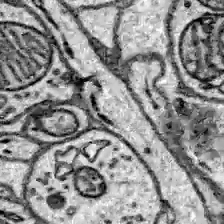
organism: Zebrafish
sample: Brain